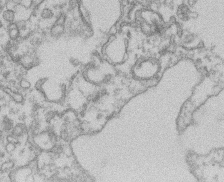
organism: Mouse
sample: T cell stromal cell synapse